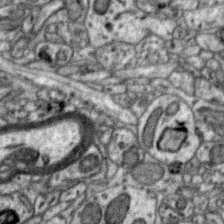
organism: Zebra finch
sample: Brain